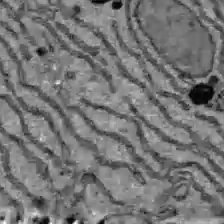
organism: C57BL Mouse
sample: Liver